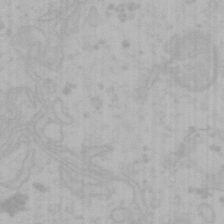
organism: Mouse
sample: Choroid plexus